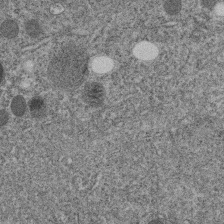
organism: C. elegans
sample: C. elegans embryo early stage